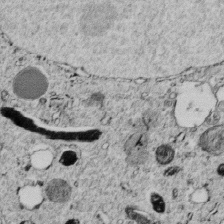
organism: C. elegans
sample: C. elegans embryo early stage